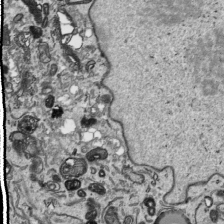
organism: Human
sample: Mitochondria in HCT116 cells